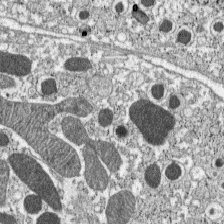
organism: C57BL Mouse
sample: Pancreatic islet